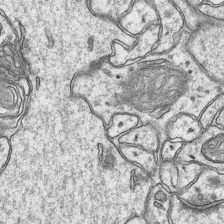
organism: Mouse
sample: CA1 Hippocampus